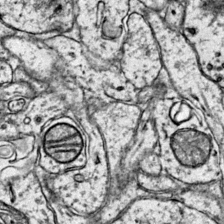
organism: Mouse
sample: Primary visual cortex